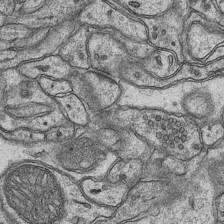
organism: Mouse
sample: CA1 Hippocampus